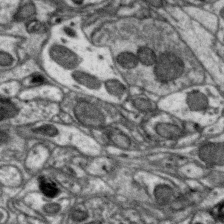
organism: Zebra finch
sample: Brain